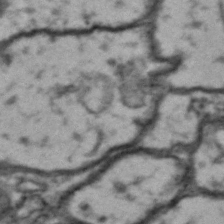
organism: Drosophila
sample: Brain